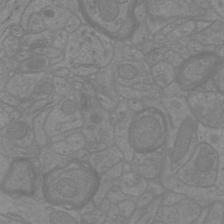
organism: Mouse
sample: Cortical neurons